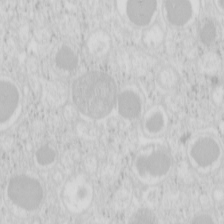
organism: Mouse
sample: Pancreas